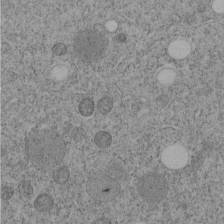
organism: C. elegans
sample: C. elegans embryo early stage